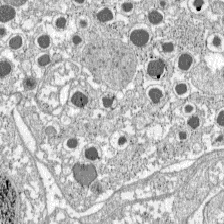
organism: C57BL Mouse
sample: Pancreatic islet